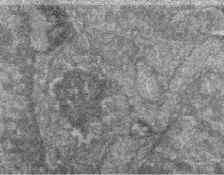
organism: Zebrafish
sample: Cilia; retinal pigment epithelium